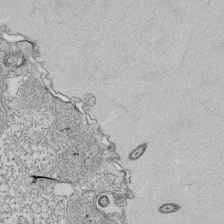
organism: Tetrahymena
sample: Cilia in tetrahymena